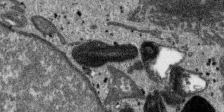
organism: Human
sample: Lung epithelial cells, uninfected (mock) control